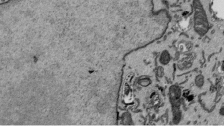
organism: Mouse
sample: ED-1 cell nuclei; centrioles